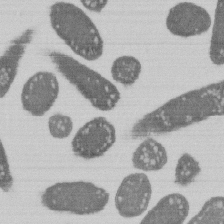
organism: E. coli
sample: Bacterial nucleoid